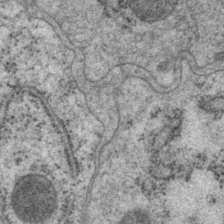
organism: P. pacificus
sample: Pharynx